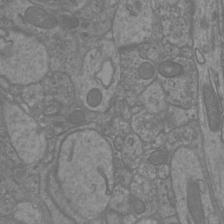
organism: Mouse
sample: Cortical neurons